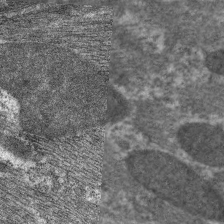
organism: C. elegans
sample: Pharynx